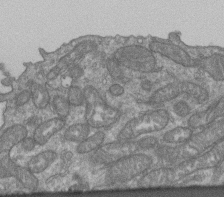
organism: Human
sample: Retinal organoid Rod and Cone cells